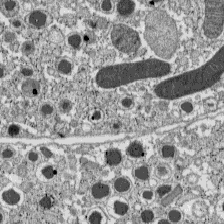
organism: C57BL Mouse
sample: Pancreatic islet